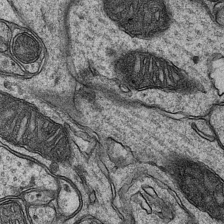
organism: Mouse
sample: CA1 Hippocampus